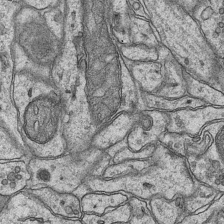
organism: Mouse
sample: CA1 Hippocampus